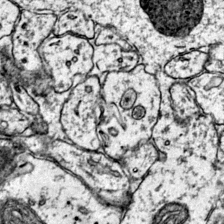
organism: Mouse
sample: Primary visual cortex